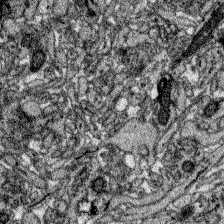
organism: Zebrafish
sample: Larval olfactory bulb